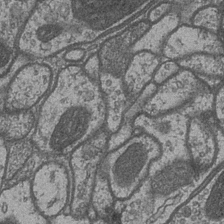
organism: Drosophila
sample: Optic medulla